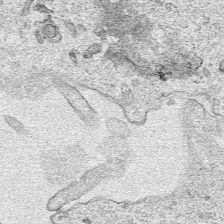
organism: Human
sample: Mitochondria in HCT116 cells